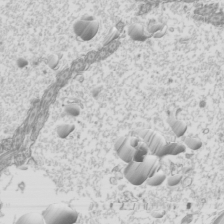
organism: Mouse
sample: Cilia; mouse epididymis